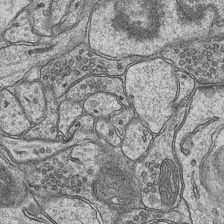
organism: Mouse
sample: CA1 Hippocampus